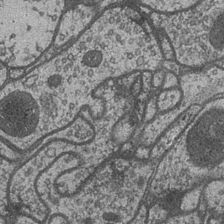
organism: Drosophila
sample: Optic medulla